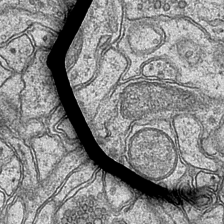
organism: Mouse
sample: CA1 Hippocampus